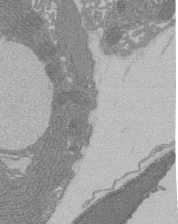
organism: Rat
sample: Salivary granule